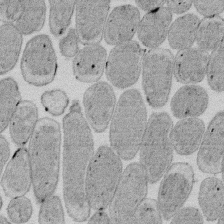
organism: E. coli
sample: Bacterial nucleoid